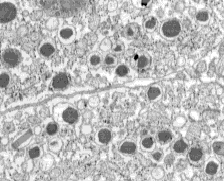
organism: C57BL Mouse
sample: Pancreatic islet